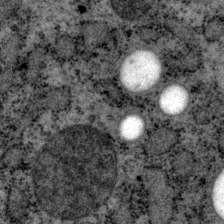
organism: P. pacificus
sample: Pharynx